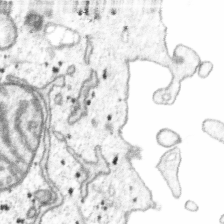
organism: Human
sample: HeLa cells